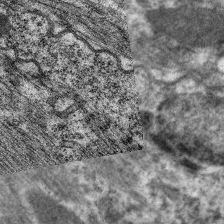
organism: C. elegans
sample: Pharynx